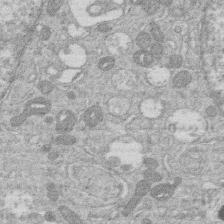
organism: Human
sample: Macrophage cells